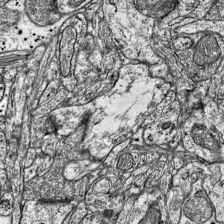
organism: Mouse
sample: Visual Cortex